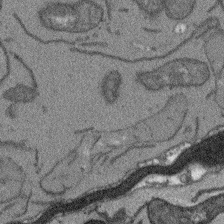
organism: Arabidopsis thaliana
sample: Root tip